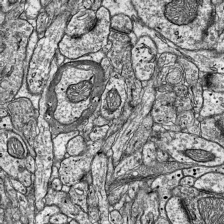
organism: Mouse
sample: Visual Cortex